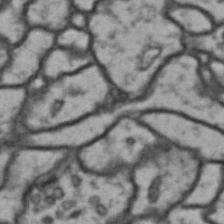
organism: Drosophila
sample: Brain